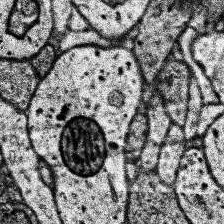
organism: Human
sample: Temporal Lobe